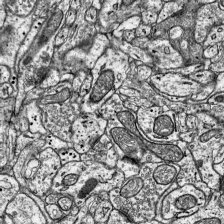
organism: Mouse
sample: Visual Cortex